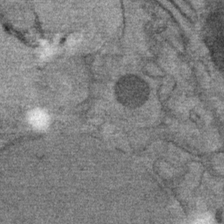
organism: Mouse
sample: Mouse Salivary gland